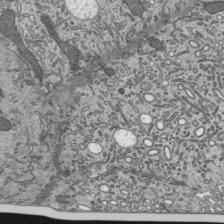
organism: Mouse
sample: Mouse epididymis efferent ductule cilia